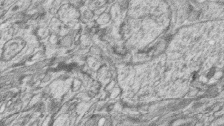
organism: Zebrafish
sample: synaptic ribbons in rod cells and cone cells